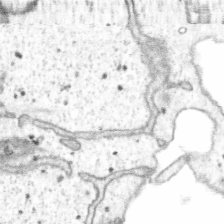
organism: Human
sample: HeLa cells